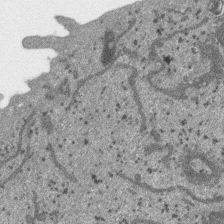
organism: Human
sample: Lung epithelial cells infected with SARS-CoV-2